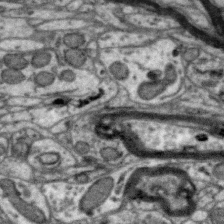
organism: Zebra finch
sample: Brain